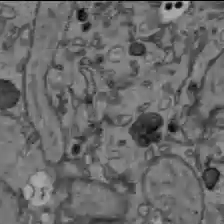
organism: C57BL Mouse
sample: Liver